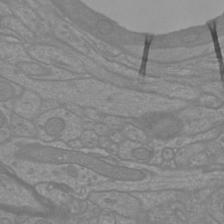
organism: Mouse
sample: Cortical neurons